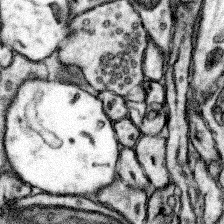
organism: Mouse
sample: Somatosensory cortex neuropil